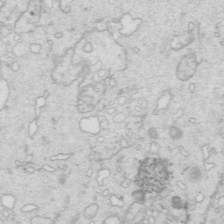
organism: Mouse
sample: Multiciliated cells